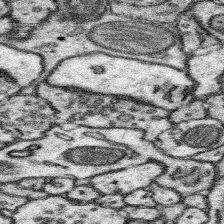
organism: Mouse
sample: Somatosensory cortex neuropil